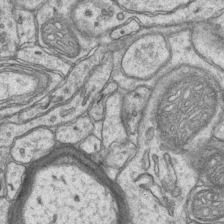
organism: Mouse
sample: CA1 Hippocampus